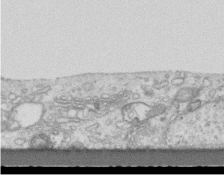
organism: Mouse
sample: Centriole in ependymal cells